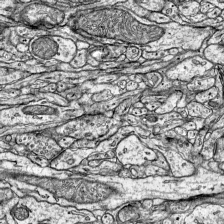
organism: Mouse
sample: Visual Cortex